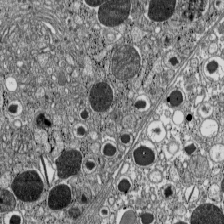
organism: C57BL Mouse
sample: Pancreatic islet